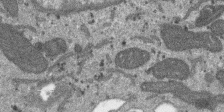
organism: Human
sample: Lung epithelial cells infected with SARS-CoV-2